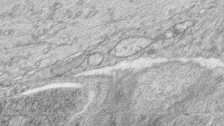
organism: Zebrafish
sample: synaptic ribbons in rod cells and cone cells